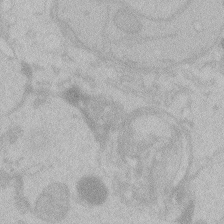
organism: Zebrafish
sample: Macrophage infected with Toxoplasma gondii